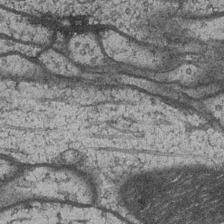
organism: Drosophila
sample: Optic medulla